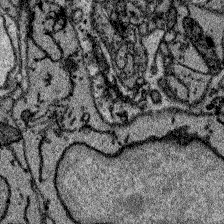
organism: Zebrafish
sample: Larval olfactory bulb